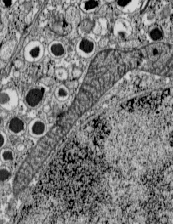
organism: C57BL Mouse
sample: Pancreatic islet